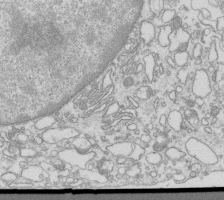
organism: Mouse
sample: Macrophages